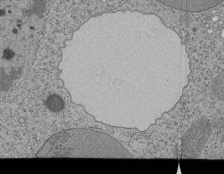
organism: Tetrahymena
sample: Cilia in tetrahymena